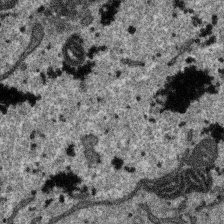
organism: Human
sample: Lung epithelial cells infected with SARS-CoV-2